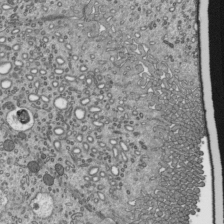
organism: Mouse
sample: Mouse epididymis efferent ductule cilia